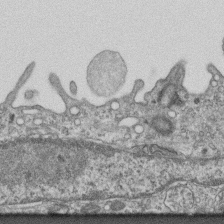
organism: Mouse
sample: Centriole in ependymal cells